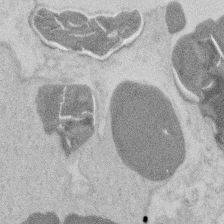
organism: Mouse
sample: T cell stromal cell synapse